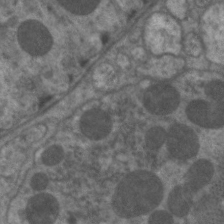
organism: C. elegans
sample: Pharynx